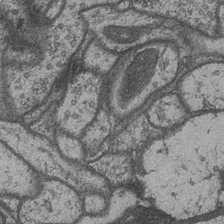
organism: Drosophila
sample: Optic medulla